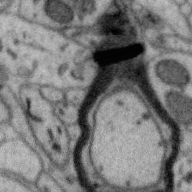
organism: Zebra finch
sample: Brain